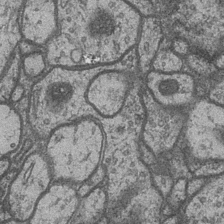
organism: Drosophila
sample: Optic medulla